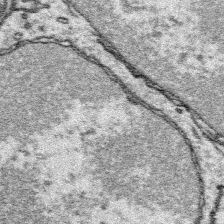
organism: Platynereis dumerilii